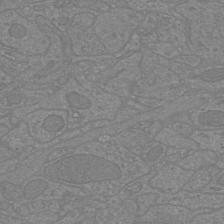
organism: Mouse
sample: Cortical neurons